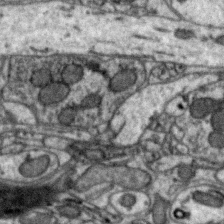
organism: Zebra finch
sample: Brain